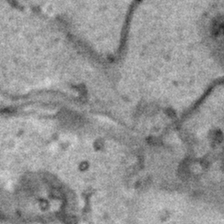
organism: Human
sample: Mitochondria in HCT116 cells